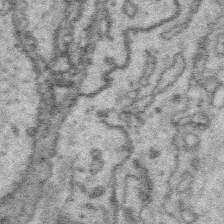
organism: Platynereis dumerilii